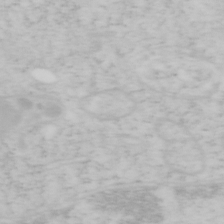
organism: Mouse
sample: OT-I killer T cells with ID8 ovarian cancer cells